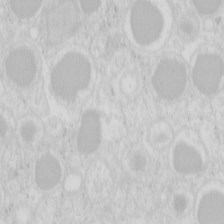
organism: Mouse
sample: Pancreas